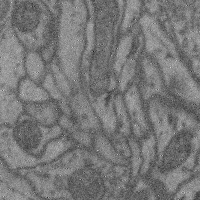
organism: Mouse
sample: Cerebral cortex